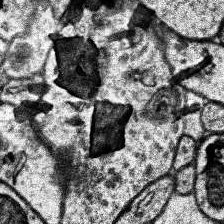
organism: Human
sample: Temporal Lobe